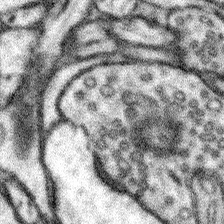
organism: Mouse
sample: Somatosensory cortex neuropil